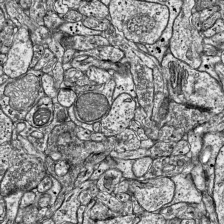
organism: Mouse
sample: Visual Cortex